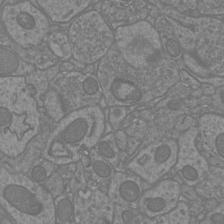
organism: Mouse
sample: Cortical neurons